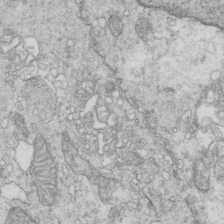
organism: Mouse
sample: Multiciliated cells